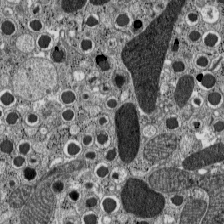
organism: C57BL Mouse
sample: Pancreatic islet